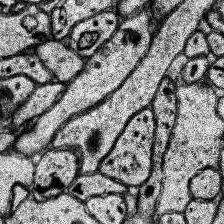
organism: Human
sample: Temporal Lobe